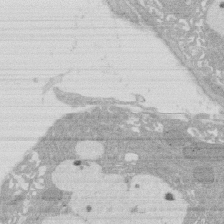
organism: Rat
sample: Salivary granule